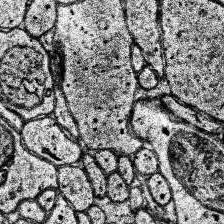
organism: Human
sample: Temporal Lobe